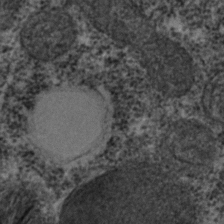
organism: C. elegans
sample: C. elegans embryo